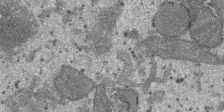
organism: Human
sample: Lung epithelial cells infected with SARS-CoV-2